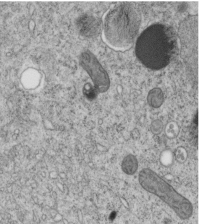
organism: C. elegans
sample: C. elegans embryo early stage